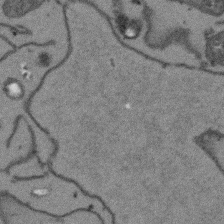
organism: Arabidopsis thaliana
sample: Root tip